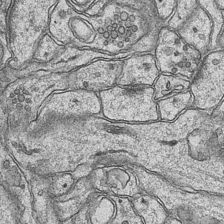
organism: Mouse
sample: CA1 Hippocampus